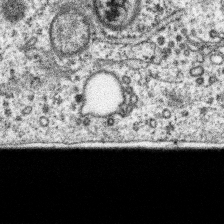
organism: Human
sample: HeLa cells